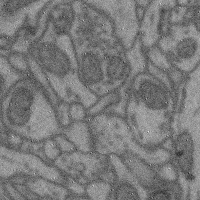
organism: Mouse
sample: Cerebral cortex